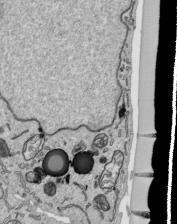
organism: Human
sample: Mitochondria in HCT116 cells